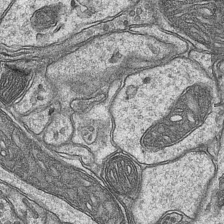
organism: Mouse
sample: CA1 Hippocampus